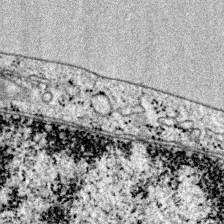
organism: Human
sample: HeLa cells